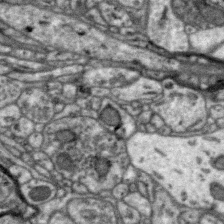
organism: Zebra finch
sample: Brain